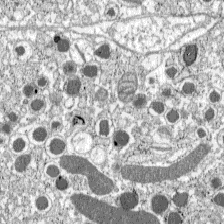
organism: C57BL Mouse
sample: Pancreatic islet